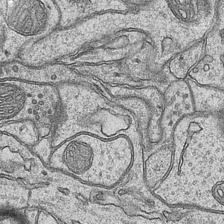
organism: Mouse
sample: CA1 Hippocampus